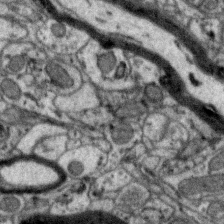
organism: Zebra finch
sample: Brain